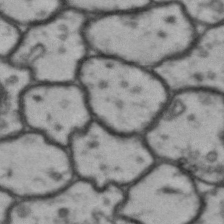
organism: Drosophila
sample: Brain